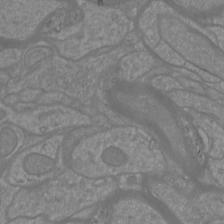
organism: Mouse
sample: Cortical neurons